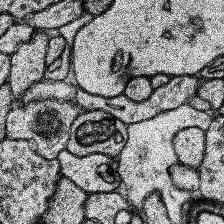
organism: Human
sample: Temporal Lobe